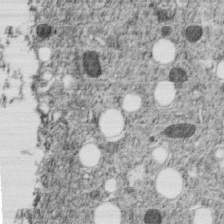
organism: C. elegans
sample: C. elegans embryo early stage